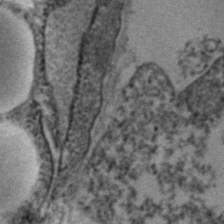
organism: Human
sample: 1205lu cells